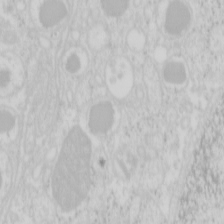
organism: Mouse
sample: Pancreas